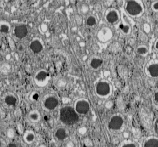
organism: C57BL Mouse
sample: Pancreatic islet